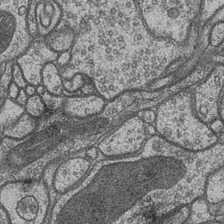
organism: Drosophila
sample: Optic medulla